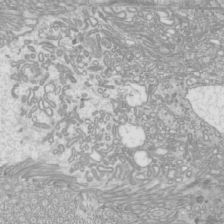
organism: Mouse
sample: Cilia; mouse epididymis